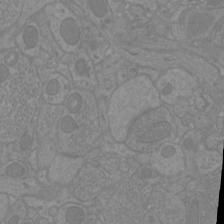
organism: Mouse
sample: Cortical neurons